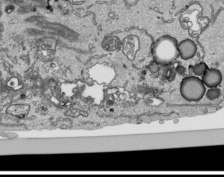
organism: Human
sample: Mitochondria in HCT116 cells